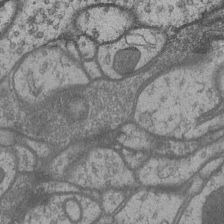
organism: Drosophila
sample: Optic medulla